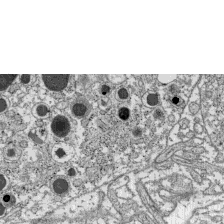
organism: C57BL Mouse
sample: Pancreatic islet